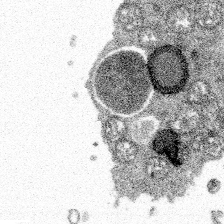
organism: Spongilla lacustris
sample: Multiple